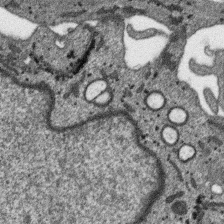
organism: Human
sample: Lung epithelial cells infected with SARS-CoV-2